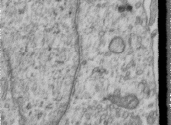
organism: Human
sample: Centriole in RPE cells